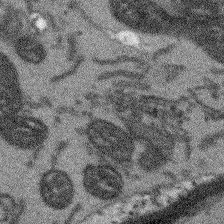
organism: Arabidopsis thaliana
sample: Root tip